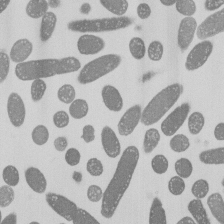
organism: E. coli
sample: Bacterial nucleoid